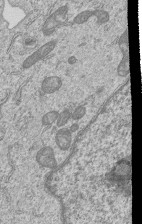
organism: Human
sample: MDA-MB-231 cells